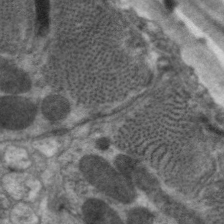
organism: C. elegans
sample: Pharynx